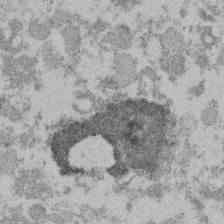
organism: Mouse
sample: Dividing mouse embryo 1 cell stage